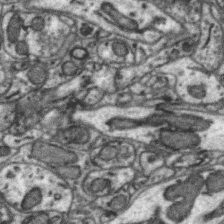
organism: Zebra finch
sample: Brain